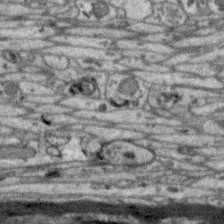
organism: Zebra finch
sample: Brain